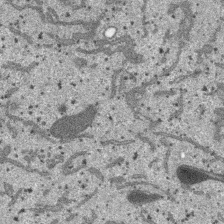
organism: Human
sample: Lung epithelial cells infected with SARS-CoV-2